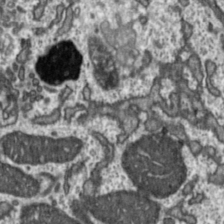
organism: Toxoplasma gondii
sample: Parasites in a vacuole inside a host cell